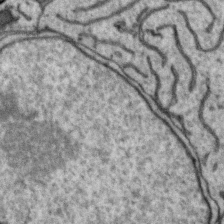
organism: Zebra finch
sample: Brain